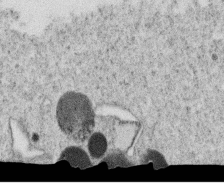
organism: C. elegans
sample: C. elegans oocyte; sperm cells